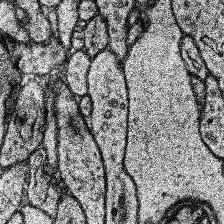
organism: Human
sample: Temporal Lobe